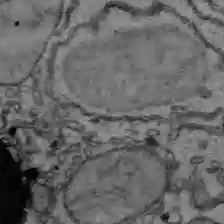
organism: C57BL Mouse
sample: Liver